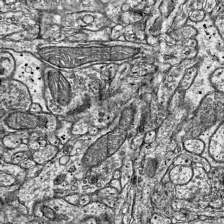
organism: Mouse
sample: Visual Cortex